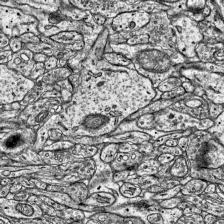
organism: Mouse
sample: Visual Cortex